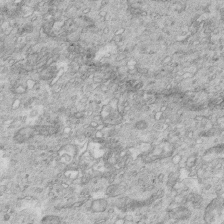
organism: Mouse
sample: Multiciliated cells